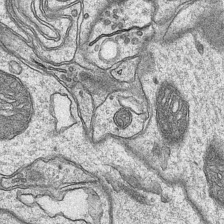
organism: Mouse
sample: CA1 Hippocampus